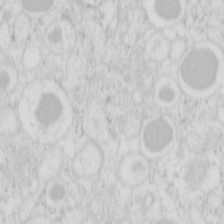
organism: Mouse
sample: Pancreas